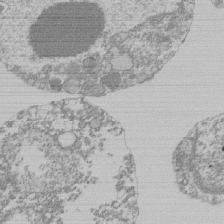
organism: Mouse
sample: Activated Pmel transgenic CD8+ T Cells